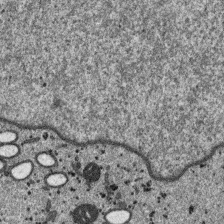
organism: Human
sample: Lung epithelial cells infected with SARS-CoV-2